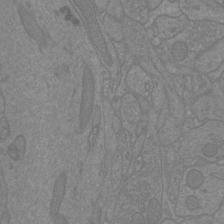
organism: Mouse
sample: Cortical neurons